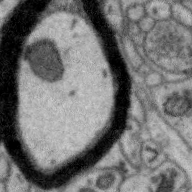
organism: Zebra finch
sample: Brain